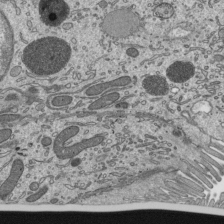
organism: Mouse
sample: Mouse epididymis efferent ductule cilia